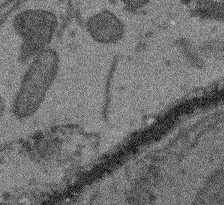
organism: Arabidopsis thaliana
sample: Root tip